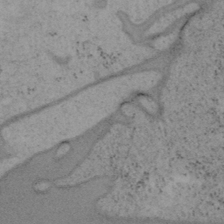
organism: Mouse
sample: OT-I killer T cells with ID8 ovarian cancer cells